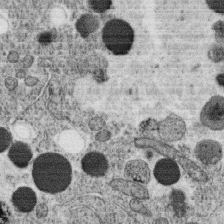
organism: C. elegans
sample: C. elegans oocyte; sperm cells